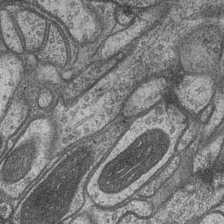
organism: Drosophila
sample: Optic medulla